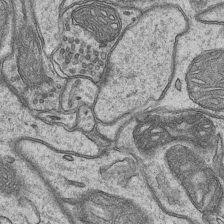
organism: Mouse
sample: CA1 Hippocampus